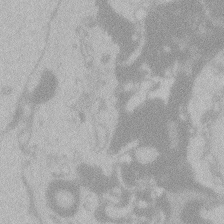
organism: Zebrafish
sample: Macrophage infected with Toxoplasma gondii